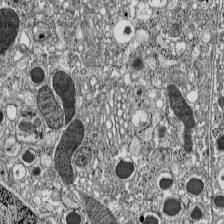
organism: C57BL Mouse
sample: Pancreatic islet